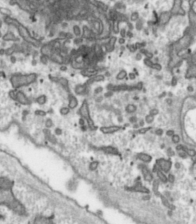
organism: Toxoplasma gondii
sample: Parasites in a vacuole inside a host cell